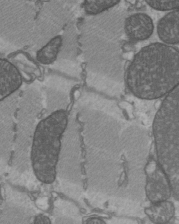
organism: C57BL Mouse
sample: Heart